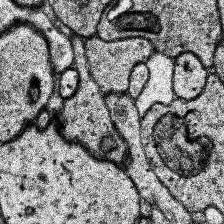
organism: Human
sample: Temporal Lobe